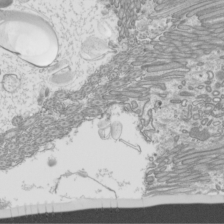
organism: Mouse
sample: Cilia; mouse epididymis